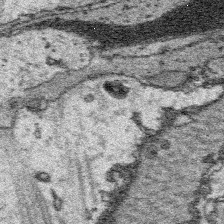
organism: Platynereis dumerilii